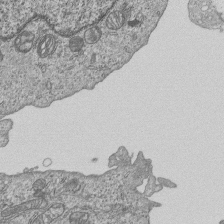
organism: Human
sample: MDA-MB-231 cells